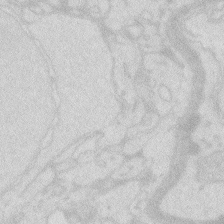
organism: Zebrafish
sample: Macrophage